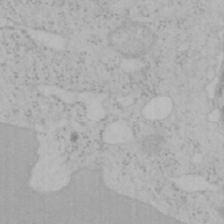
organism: Mouse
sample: OT-I killer T cells with ID8 ovarian cancer cells